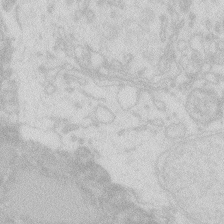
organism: Zebrafish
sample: Macrophage